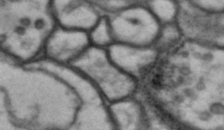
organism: Drosophila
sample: Brain